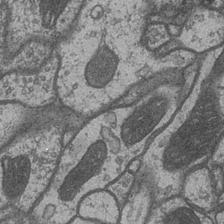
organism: Drosophila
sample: Optic medulla